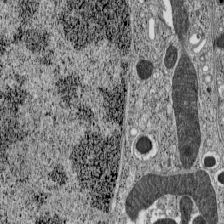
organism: C57BL Mouse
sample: Pancreatic islet